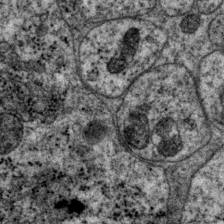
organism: P. pacificus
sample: Pharynx